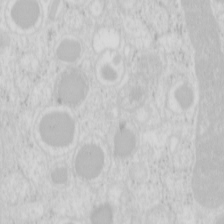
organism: Mouse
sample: Pancreas